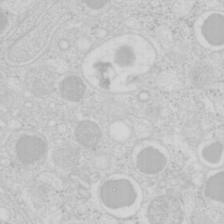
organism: Mouse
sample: Pancreas